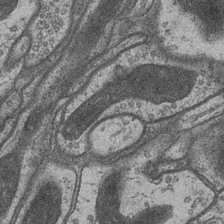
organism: Drosophila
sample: Optic medulla